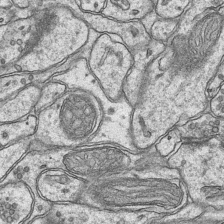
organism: Mouse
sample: CA1 Hippocampus